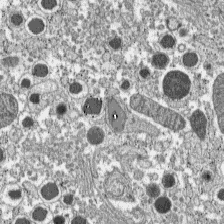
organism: C57BL Mouse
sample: Pancreatic islet